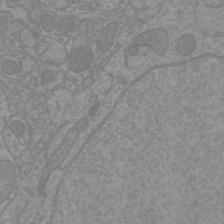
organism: Mouse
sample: Cortical neurons